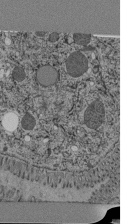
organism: C. elegans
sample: C. elegans pharynx